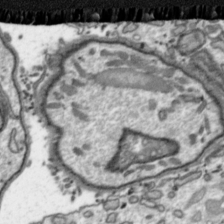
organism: Toxoplasma gondii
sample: Parasites in a vacuole inside a host cell